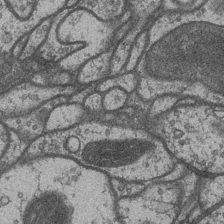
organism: Drosophila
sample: Optic medulla